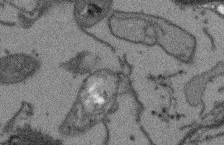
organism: Arabidopsis thaliana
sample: Root tip